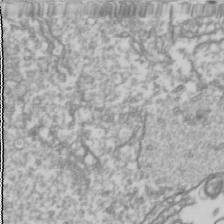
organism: Drosophila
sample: Cell division; meiosis; drosophila spermatocytes